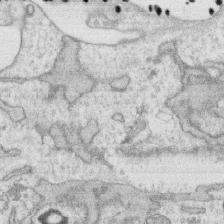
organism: Human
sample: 1205lu cells